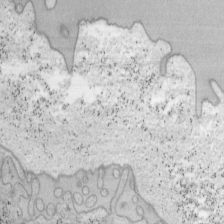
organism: Mouse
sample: OT-I killer T cells with ID8 ovarian cancer cells